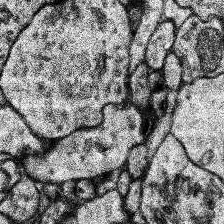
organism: Human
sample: Temporal Lobe